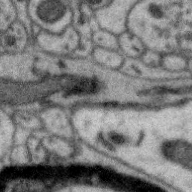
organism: Zebra finch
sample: Brain